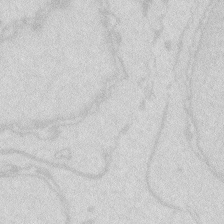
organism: Zebrafish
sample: Macrophage